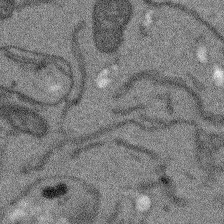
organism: Arabidopsis thaliana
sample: Root tip